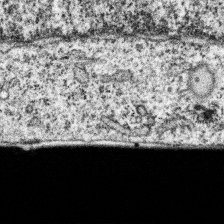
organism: Human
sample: HeLa cells